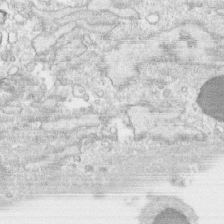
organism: Human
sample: CRL-1474